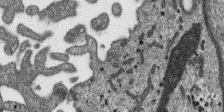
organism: Human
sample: Lung epithelial cells infected with SARS-CoV-2